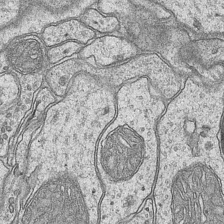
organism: Mouse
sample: CA1 Hippocampus